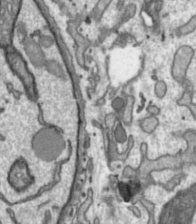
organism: Toxoplasma gondii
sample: Parasites in a vacuole inside a host cell